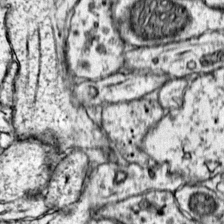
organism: Mouse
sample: Primary visual cortex